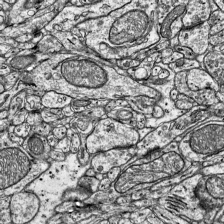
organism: Mouse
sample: Visual Cortex